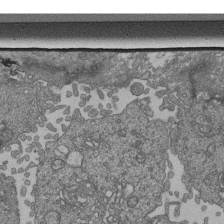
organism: Human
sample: Retinal organoid Rod and Cone cells